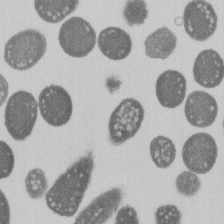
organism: E. coli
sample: Bacterial nucleoid